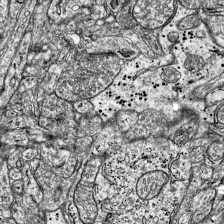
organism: Mouse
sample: Visual Cortex